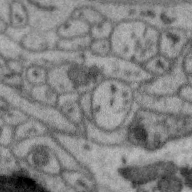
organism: Zebra finch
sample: Brain